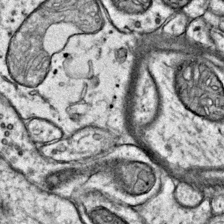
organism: Mouse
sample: Primary visual cortex